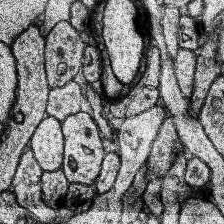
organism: Human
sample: Temporal Lobe